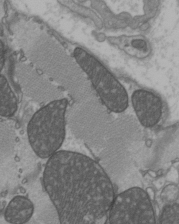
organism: C57BL Mouse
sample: Heart